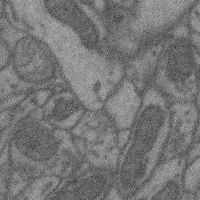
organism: Mouse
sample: Cerebral cortex